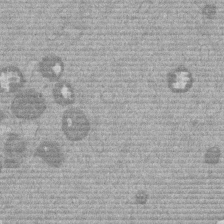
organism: Mouse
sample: Dividing mouse embryo 1 cell stage